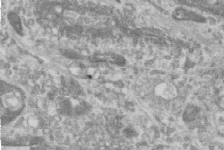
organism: Human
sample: Centriole in RPE cells